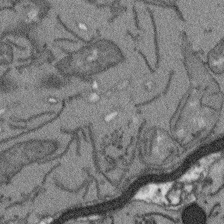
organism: Arabidopsis thaliana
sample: Root tip